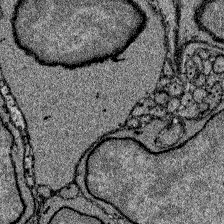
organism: Zebrafish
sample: Larval olfactory bulb